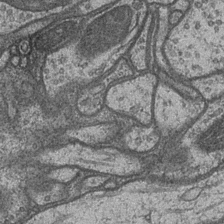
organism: Drosophila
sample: Optic medulla